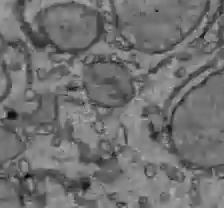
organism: C57BL Mouse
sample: Liver